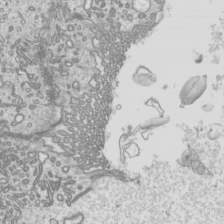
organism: Mouse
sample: Cilia; mouse epididymis